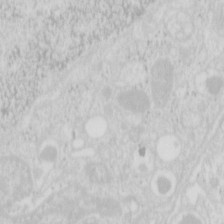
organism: Mouse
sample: Pancreas